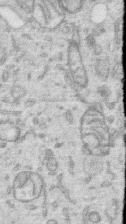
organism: Human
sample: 1205lu cells